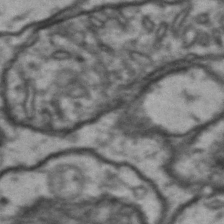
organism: Drosophila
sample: Brain